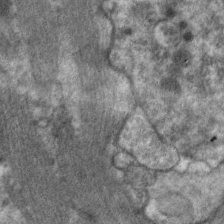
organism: C. elegans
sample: Pharynx